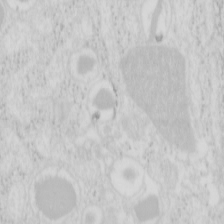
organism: Mouse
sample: Pancreas